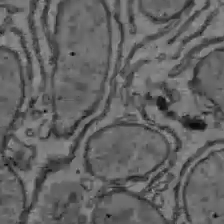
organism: C57BL Mouse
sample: Liver